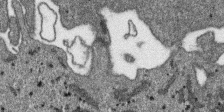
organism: Human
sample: Lung epithelial cells infected with SARS-CoV-2